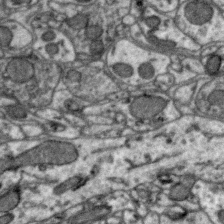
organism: Zebra finch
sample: Brain